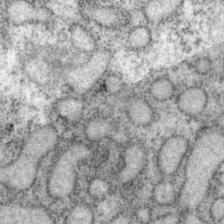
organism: P. pacificus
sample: Pharynx